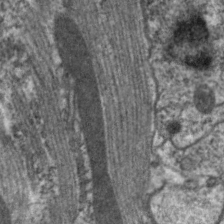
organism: C. elegans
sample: Pharynx